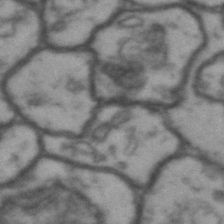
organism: Drosophila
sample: Brain